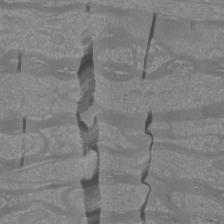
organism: Mouse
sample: Cortical neurons